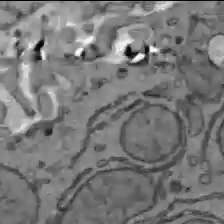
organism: C57BL Mouse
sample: Liver